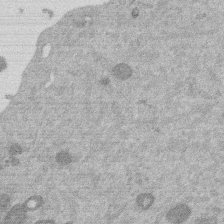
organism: Mouse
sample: Dividing mouse embryo 1 cell stage